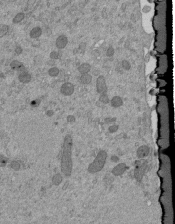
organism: Mouse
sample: ED-1 cell nuclei; centrioles